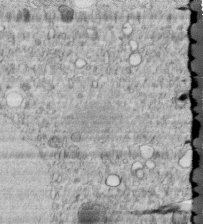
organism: C. elegans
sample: C. elegans embryo early stage